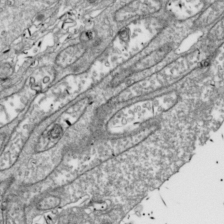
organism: Drosophila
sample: Cell division; meiosis; drosophila spermatocytes